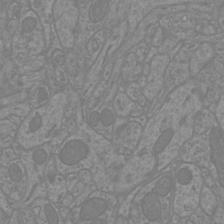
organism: Mouse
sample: Cortical neurons